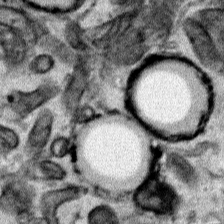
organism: Human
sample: Mitochondria in HCT116 cells